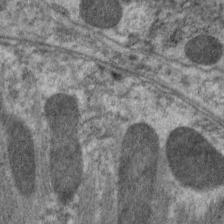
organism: C. elegans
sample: Pharynx